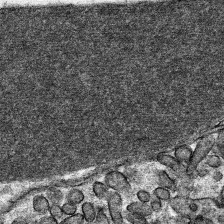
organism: Mouse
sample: Mouse hepatocytes